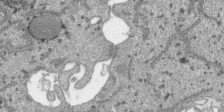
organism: Human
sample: Lung epithelial cells infected with SARS-CoV-2